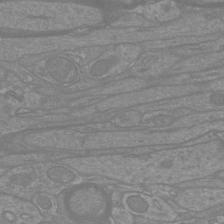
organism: Mouse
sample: Cortical neurons